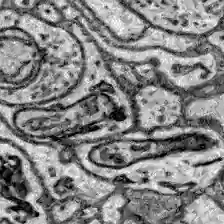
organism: Zebrafish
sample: Brain